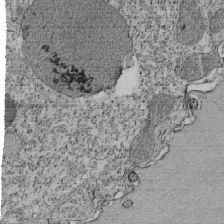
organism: Tetrahymena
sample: Cilia in tetrahymena